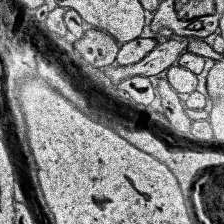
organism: Human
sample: Temporal Lobe